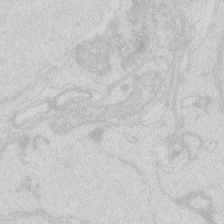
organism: Zebrafish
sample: Macrophage